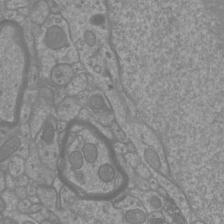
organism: Mouse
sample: Cortical neurons